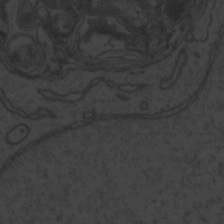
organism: Zebrafish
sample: Macrophage infected with Toxoplasma gondii